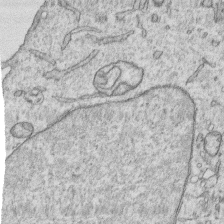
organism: Human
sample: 1205lu cells